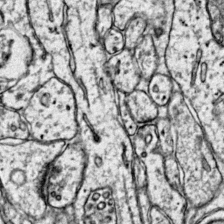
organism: Mouse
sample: Primary visual cortex